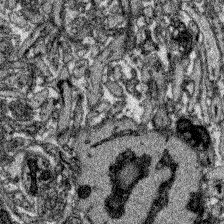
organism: Zebrafish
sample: Larval olfactory bulb